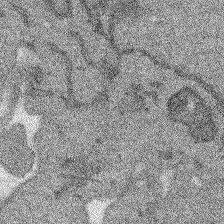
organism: Human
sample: HeLa cells